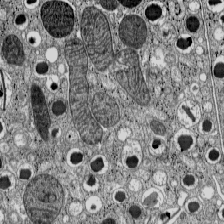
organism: C57BL Mouse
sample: Pancreatic islet